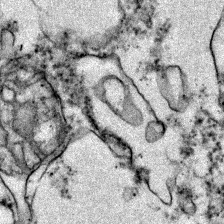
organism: Zebrafish